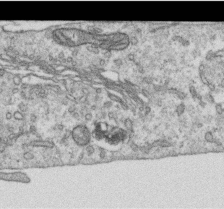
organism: Human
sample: Centriole in RPE cells